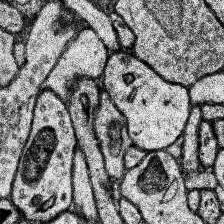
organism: Human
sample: Temporal Lobe